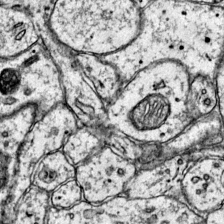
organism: Mouse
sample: Primary visual cortex